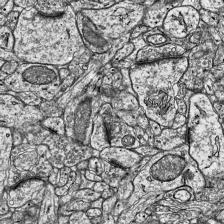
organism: Mouse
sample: Visual Cortex